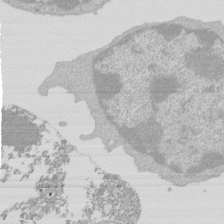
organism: Mouse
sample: Activated Pmel transgenic CD8+ T Cells